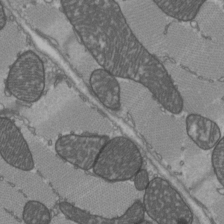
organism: C57BL Mouse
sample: Heart